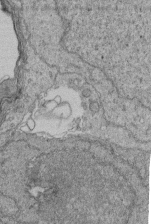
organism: Human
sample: Retinal organoid Rod and Cone cells